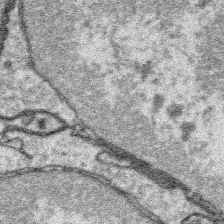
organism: Platynereis dumerilii